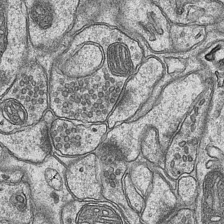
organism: Mouse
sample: CA1 Hippocampus